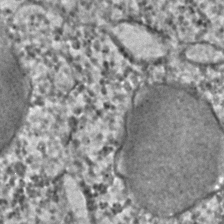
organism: C. elegans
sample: C. elegans embryo